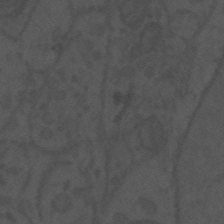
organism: Mouse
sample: Suprachiasmatic nucleus